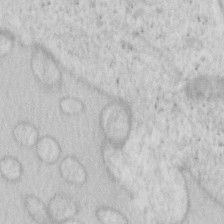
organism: Human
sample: HeLa cells